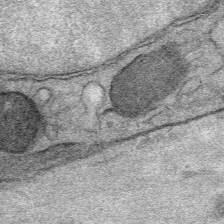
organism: Mouse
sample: Mouse Salivary gland